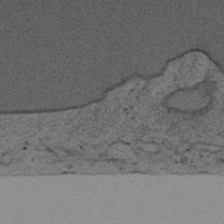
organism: Human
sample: HeLa cells